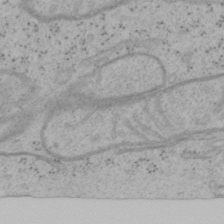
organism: Human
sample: HeLa cells